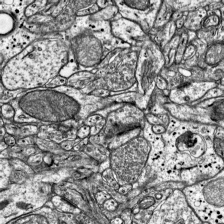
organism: Mouse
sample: Visual Cortex